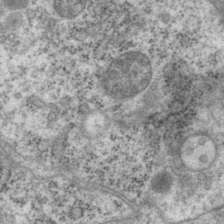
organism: P. pacificus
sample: Pharynx